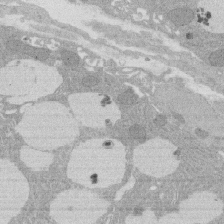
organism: Rat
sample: Salivary granule